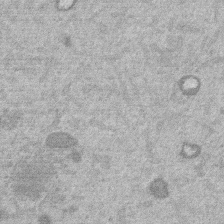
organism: Mouse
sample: Dividing mouse embryo 1 cell stage